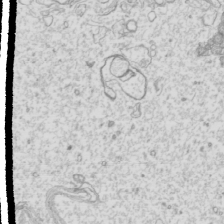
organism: Mouse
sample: Cilia; mouse epididymis